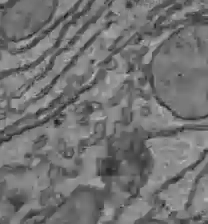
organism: C57BL Mouse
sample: Liver